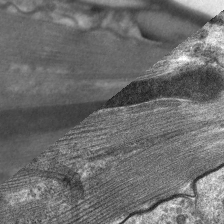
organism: C. elegans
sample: Pharynx